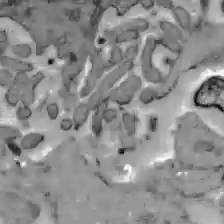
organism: C57BL Mouse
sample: Liver